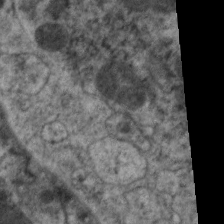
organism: C. elegans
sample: Pharynx